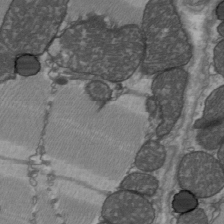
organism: C57BL Mouse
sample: Heart